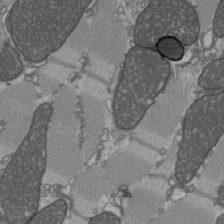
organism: C57BL Mouse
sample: Heart